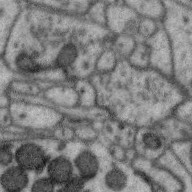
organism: Zebra finch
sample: Brain